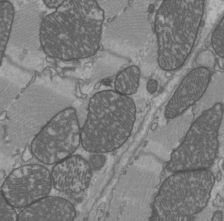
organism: C57BL Mouse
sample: Heart